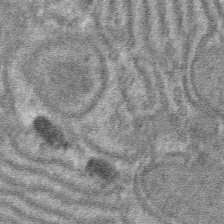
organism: Mouse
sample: Mouse hepatocytes